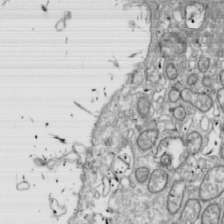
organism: Drosophila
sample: Cell division; meiosis; drosophila spermatocytes